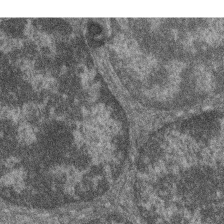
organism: Zebrafish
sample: Cilia; retinal pigment epithelium